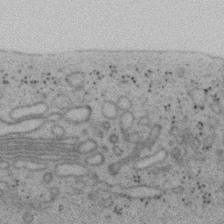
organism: Human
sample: HeLa cells